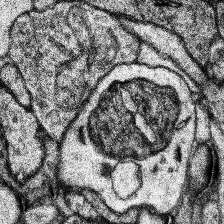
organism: Human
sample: Temporal Lobe